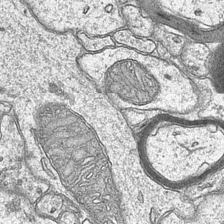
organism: Mouse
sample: CA1 Hippocampus